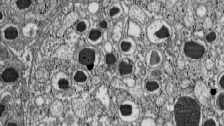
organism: C57BL Mouse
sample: Pancreatic islet